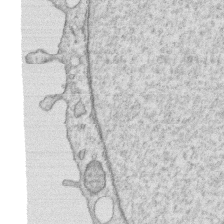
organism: Human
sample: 1205lu cells